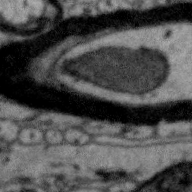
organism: Zebra finch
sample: Brain